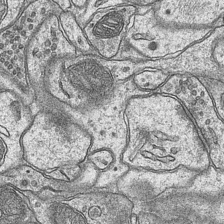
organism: Mouse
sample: CA1 Hippocampus